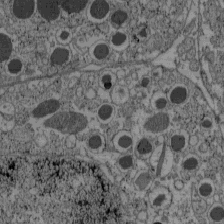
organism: C57BL Mouse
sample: Pancreatic islet